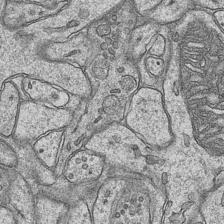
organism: Mouse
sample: CA1 Hippocampus